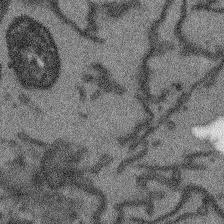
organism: Arabidopsis thaliana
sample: Root tip